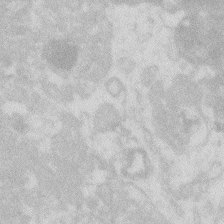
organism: Zebrafish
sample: Macrophage